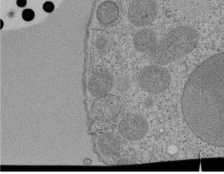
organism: Tetrahymena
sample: Cilia in tetrahymena